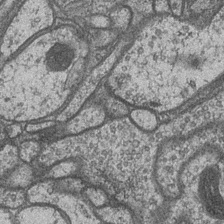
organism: Drosophila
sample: Optic medulla